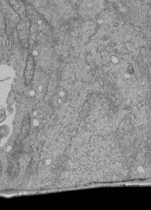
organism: Human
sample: Retinal organoid Rod and Cone cells